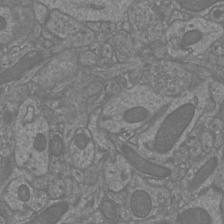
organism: Mouse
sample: Cortical neurons